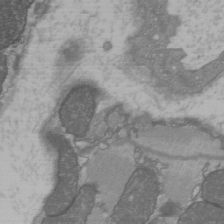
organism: C57BL Mouse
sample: Heart